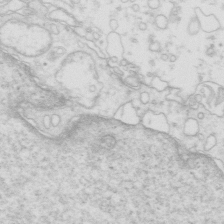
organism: Mouse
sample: Multiciliated cells